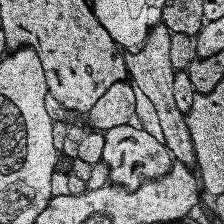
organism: Human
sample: Temporal Lobe